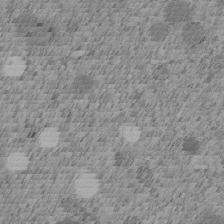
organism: C. elegans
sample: C. elegans embryo early stage